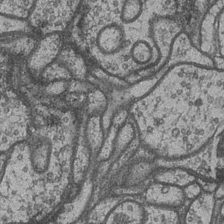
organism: Drosophila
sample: Optic medulla